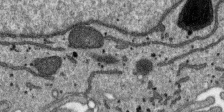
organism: Human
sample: Lung epithelial cells, uninfected (mock) control